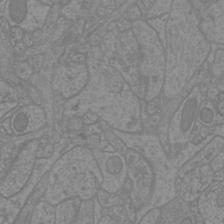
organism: Mouse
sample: Cortical neurons